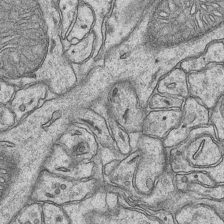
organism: Mouse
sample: CA1 Hippocampus